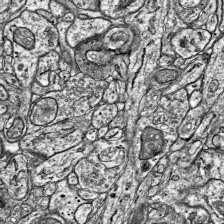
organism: Mouse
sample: Visual Cortex